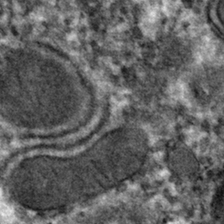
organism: Mouse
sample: Mouse hepatocytes